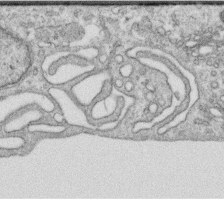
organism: Human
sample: Centriole in RPE cells